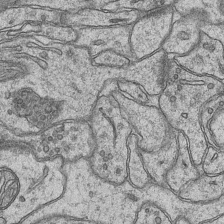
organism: Mouse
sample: CA1 Hippocampus